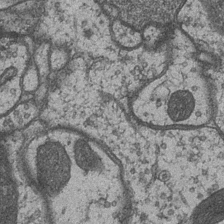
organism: Drosophila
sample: Optic medulla